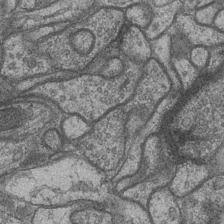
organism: Drosophila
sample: Optic medulla